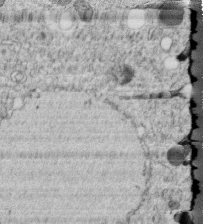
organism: C. elegans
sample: C. elegans embryo early stage